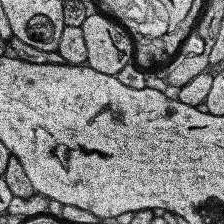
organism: Human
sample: Temporal Lobe